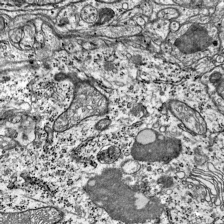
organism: Mouse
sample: Visual Cortex